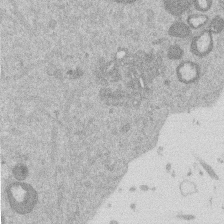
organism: Mouse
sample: Dividing mouse embryo 1 cell stage